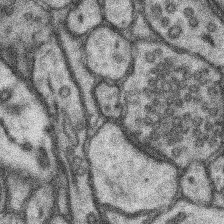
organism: Mouse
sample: Somatosensory cortex neuropil